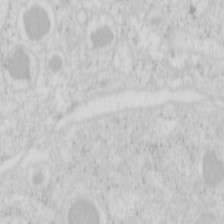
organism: Mouse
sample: Pancreas